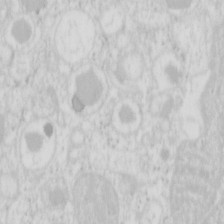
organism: Mouse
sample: Pancreas